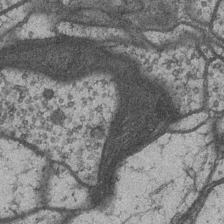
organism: Drosophila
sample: Optic medulla